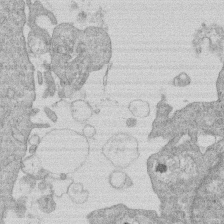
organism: Human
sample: Macrophage cells